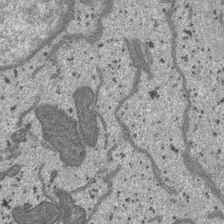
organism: Human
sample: Lung epithelial cells infected with SARS-CoV-2